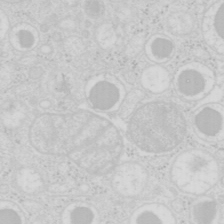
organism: Mouse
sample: Pancreas